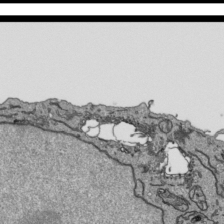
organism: Human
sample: Mitochondria in HCT116 cells